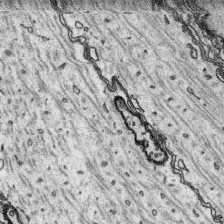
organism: Platynereis dumerilii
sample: Parapodia